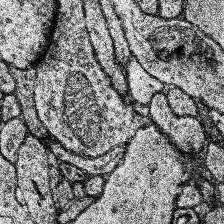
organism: Human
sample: Temporal Lobe